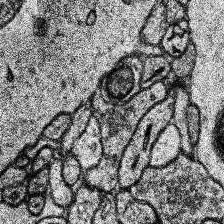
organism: Human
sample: Temporal Lobe